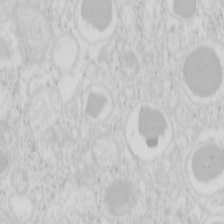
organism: Mouse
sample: Pancreas